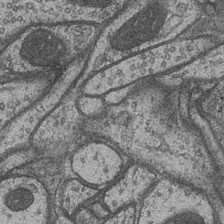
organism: Drosophila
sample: Optic medulla